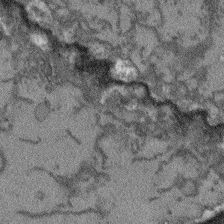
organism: Arabidopsis thaliana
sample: Root tip